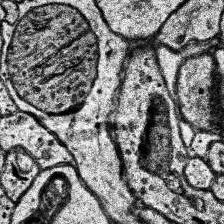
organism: Human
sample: Temporal Lobe